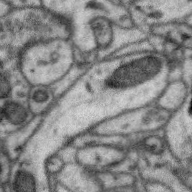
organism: Zebra finch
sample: Brain